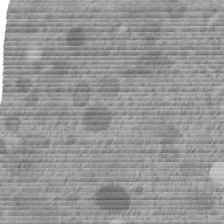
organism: C. elegans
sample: C. elegans embryo early stage